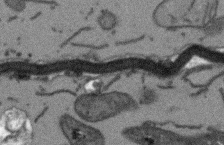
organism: Arabidopsis thaliana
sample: Root tip